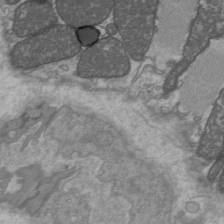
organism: C57BL Mouse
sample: Heart